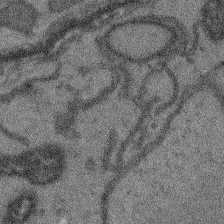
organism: Arabidopsis thaliana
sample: Root tip